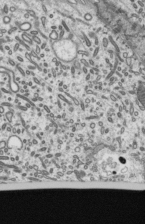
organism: Mouse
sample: Mouse epididymis efferent ductule cilia